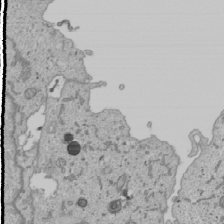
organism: Human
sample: Mitochondria in U2OS cells